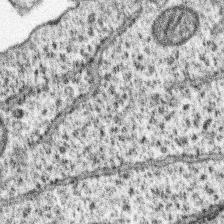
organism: Human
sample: HeLa cells